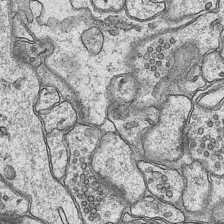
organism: Mouse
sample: CA1 Hippocampus